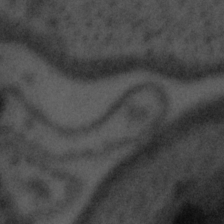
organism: Tuwongella immobilis